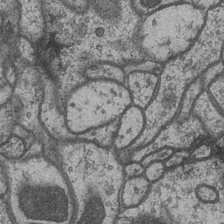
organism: Drosophila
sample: Optic medulla